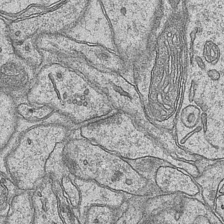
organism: Mouse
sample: CA1 Hippocampus